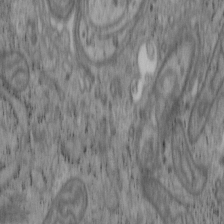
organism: Human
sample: HeLa cells